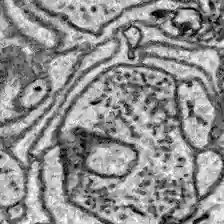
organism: Zebrafish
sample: Brain